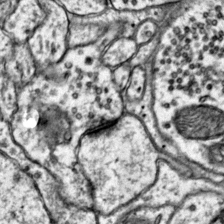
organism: Mouse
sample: Primary visual cortex